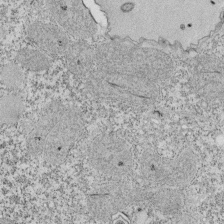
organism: Tetrahymena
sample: Cilia in tetrahymena